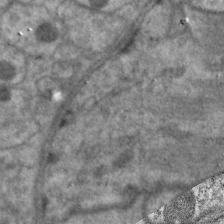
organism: C. elegans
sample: Pharynx